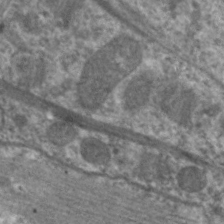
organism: C. elegans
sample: Pharynx